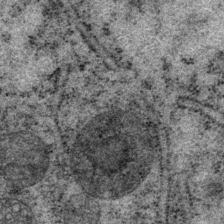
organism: P. pacificus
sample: Pharynx